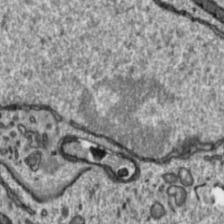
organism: Toxoplasma gondii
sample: Parasites in a vacuole inside a host cell